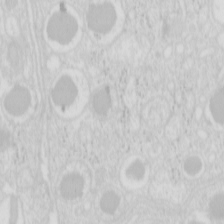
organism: Mouse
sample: Pancreas